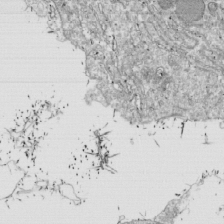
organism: Drosophila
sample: Cell division; meiosis; drosophila spermatocytes